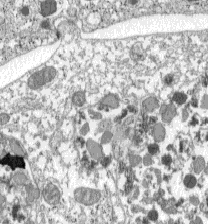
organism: C57BL Mouse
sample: Pancreatic islet